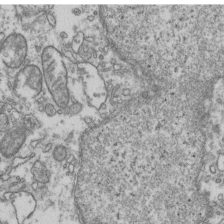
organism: Human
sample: Activated Jurkat CD4+ T cells